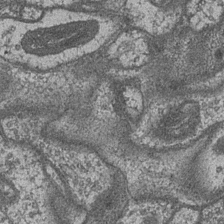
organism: Drosophila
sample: Optic medulla